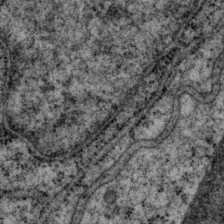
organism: P. pacificus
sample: Pharynx